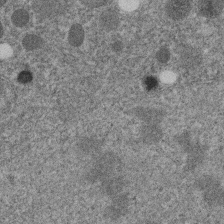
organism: C. elegans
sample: C. elegans embryo early stage